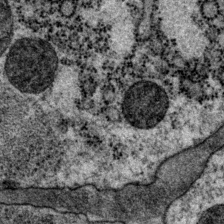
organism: P. pacificus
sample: Pharynx